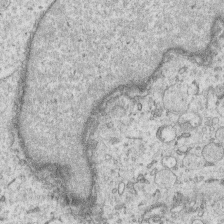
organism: Human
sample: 1205lu cells